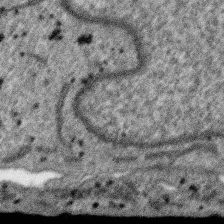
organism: Human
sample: Lung epithelial cells infected with SARS-CoV-2